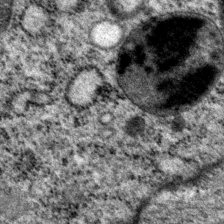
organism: P. pacificus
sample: Pharynx